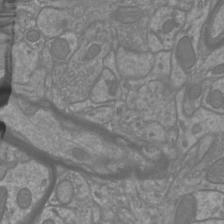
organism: Mouse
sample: Cortical neurons